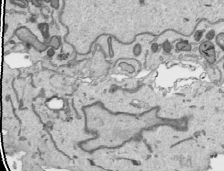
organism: Human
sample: Mitochondria in HCT116 cells